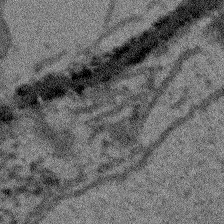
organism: Arabidopsis thaliana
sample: Root tip